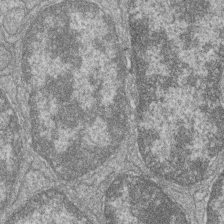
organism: Zebrafish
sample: Cilia; retinal pigment epithelium